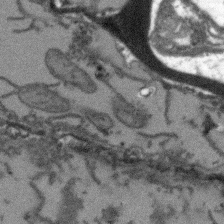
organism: Arabidopsis thaliana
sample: Root tip